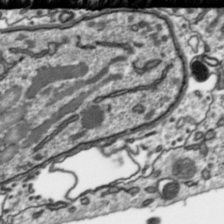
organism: Toxoplasma gondii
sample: Parasites in a vacuole inside a host cell